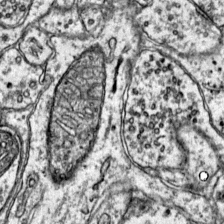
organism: Mouse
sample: Primary visual cortex